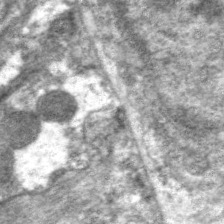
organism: C. elegans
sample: Pharynx